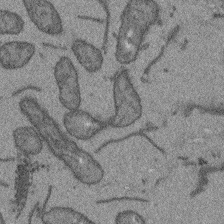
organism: Arabidopsis thaliana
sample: Root tip